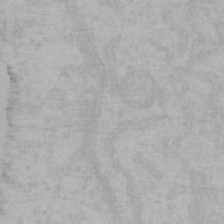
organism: Mouse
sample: Choroid plexus